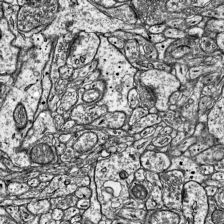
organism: Mouse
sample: Visual Cortex